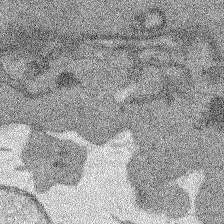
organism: Human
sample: HeLa cells